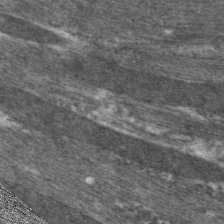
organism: C. elegans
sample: Pharynx